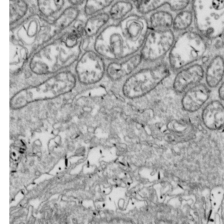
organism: Drosophila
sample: Cell division; meiosis; drosophila spermatocytes